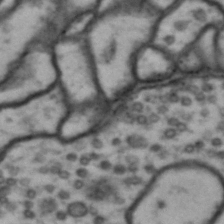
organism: Drosophila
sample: Brain